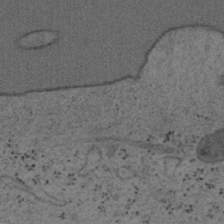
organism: Human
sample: HeLa cells